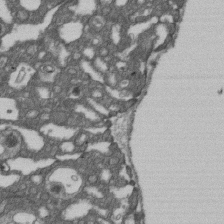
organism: Drosophila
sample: Nephrocyte